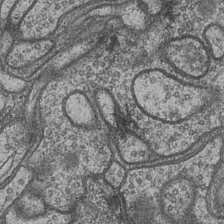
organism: Drosophila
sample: Optic medulla